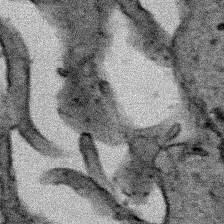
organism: Human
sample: Mitochondria in HCT116 cells